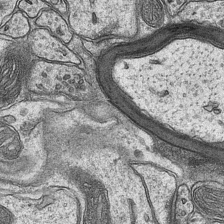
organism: Mouse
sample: CA1 Hippocampus